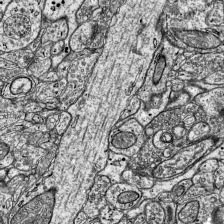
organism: Mouse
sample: Visual Cortex